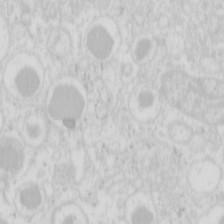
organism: Mouse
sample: Pancreas